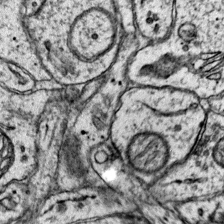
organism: Mouse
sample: Primary visual cortex